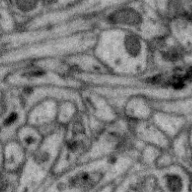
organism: Zebra finch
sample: Brain